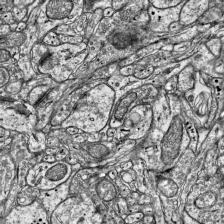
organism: Mouse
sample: Visual Cortex